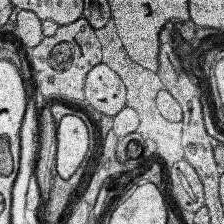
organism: Human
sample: Temporal Lobe